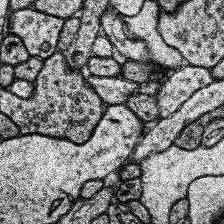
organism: Human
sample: Temporal Lobe